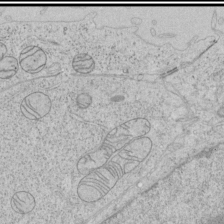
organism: Human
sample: Mitochondria in HCT116 cells